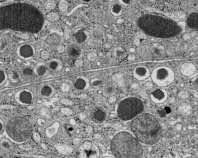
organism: C57BL Mouse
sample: Pancreatic islet